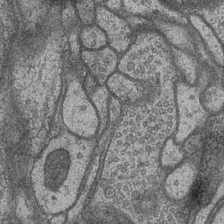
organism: Drosophila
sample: Optic medulla